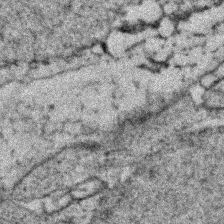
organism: Zebrafish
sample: Zebrafish embryo